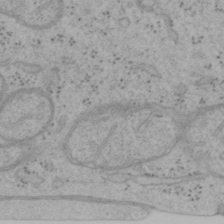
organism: Human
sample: HeLa cells